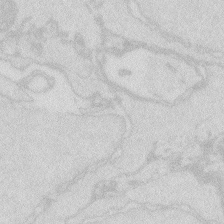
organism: Zebrafish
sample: Macrophage